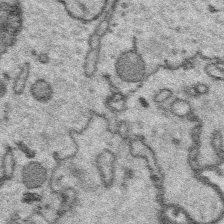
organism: Platynereis dumerilii